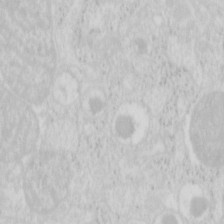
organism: Mouse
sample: Pancreas